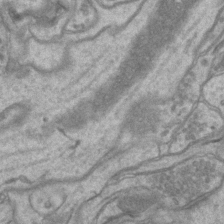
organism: Mouse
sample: CA1 Hippocampus